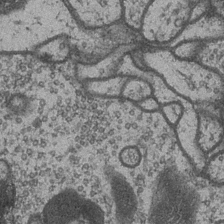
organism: Drosophila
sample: Optic medulla